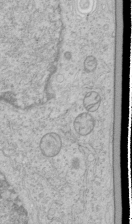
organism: Human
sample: Mitochondria in HCT116 cells